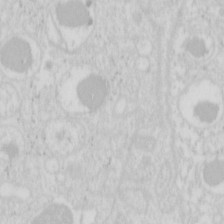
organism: Mouse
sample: Pancreas